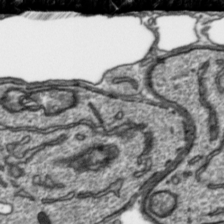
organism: Toxoplasma gondii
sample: Parasites in a vacuole inside a host cell